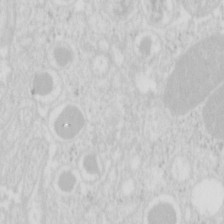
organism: Mouse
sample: Pancreas